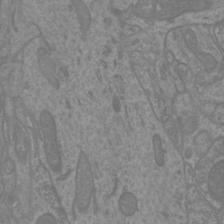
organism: Mouse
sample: Cortical neurons